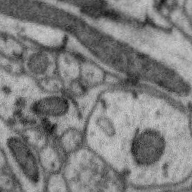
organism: Zebra finch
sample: Brain